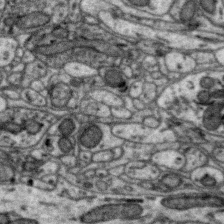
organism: Zebra finch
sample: Brain